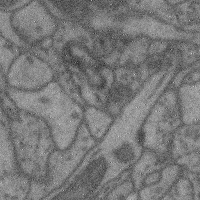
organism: Mouse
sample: Cerebral cortex